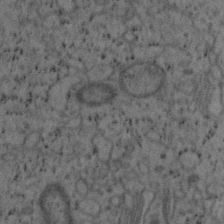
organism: Human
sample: HeLa cells